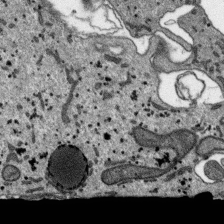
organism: Human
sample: Lung epithelial cells, uninfected (mock) control